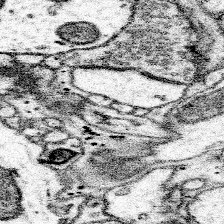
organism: Mouse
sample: Somatosensory cortex neuropil